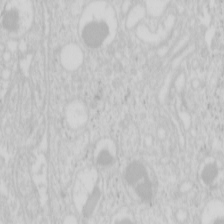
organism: Mouse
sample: Pancreas